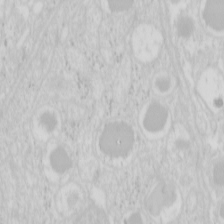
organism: Mouse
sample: Pancreas